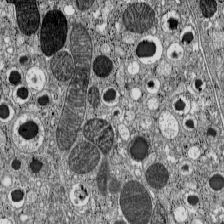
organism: C57BL Mouse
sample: Pancreatic islet